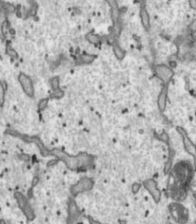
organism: Toxoplasma gondii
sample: Parasites in a vacuole inside a host cell